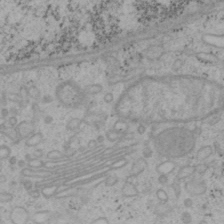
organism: Human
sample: HeLa cells